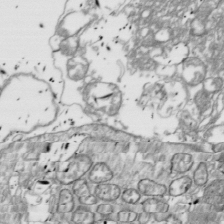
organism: Drosophila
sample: Cell division; meiosis; drosophila spermatocytes